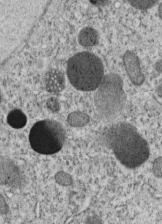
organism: C. elegans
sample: C. elegans embryo early stage